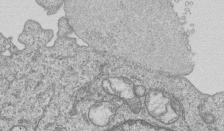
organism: Human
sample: MDA-MB-231 cells